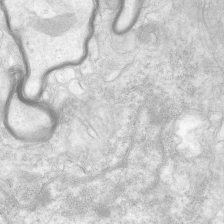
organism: Human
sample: Neocortex